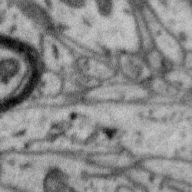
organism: Zebra finch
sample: Brain